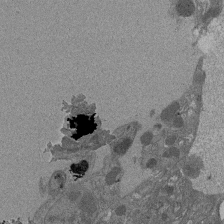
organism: Drosophila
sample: Antenna